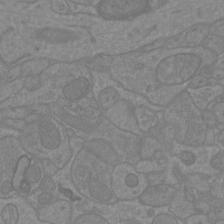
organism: Mouse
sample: Cortical neurons